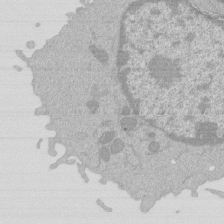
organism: Mouse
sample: Activated Pmel transgenic CD8+ T Cells